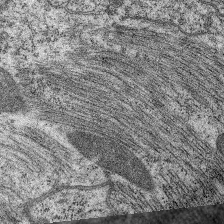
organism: C. elegans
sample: Pharynx